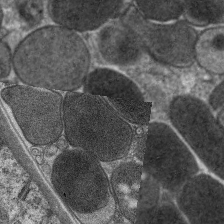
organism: C. elegans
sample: Pharynx